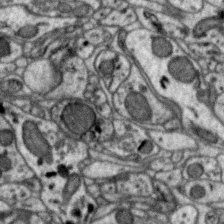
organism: Zebra finch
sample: Brain